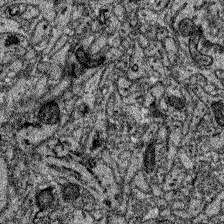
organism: Zebrafish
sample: Larval olfactory bulb